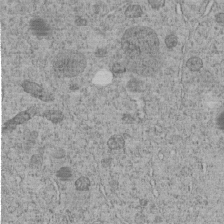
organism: C. elegans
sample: C. elegans embryo early stage